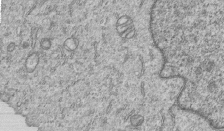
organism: Human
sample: MDA-MB-231 cells